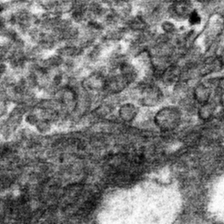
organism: Mouse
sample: Mouse hepatocytes